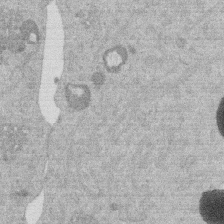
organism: Mouse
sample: Dividing mouse embryo 1 cell stage